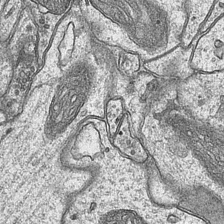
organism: Mouse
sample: CA1 Hippocampus